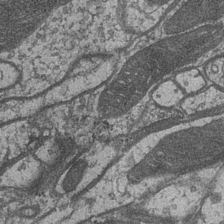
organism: Drosophila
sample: Optic medulla